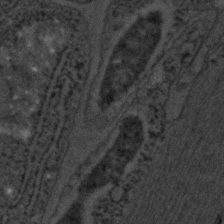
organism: C. elegans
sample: C. elegans embryo